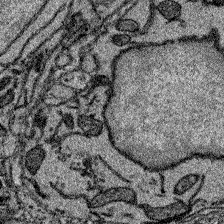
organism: Zebrafish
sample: Larval olfactory bulb